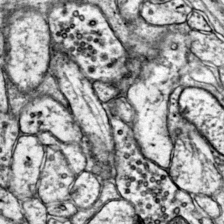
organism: Mouse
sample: Primary visual cortex